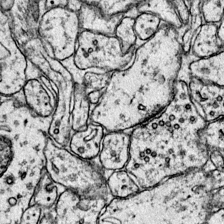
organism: Mouse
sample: Primary visual cortex